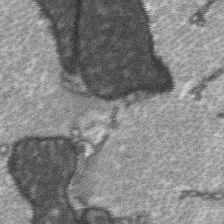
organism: C57BL Mouse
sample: Soleus